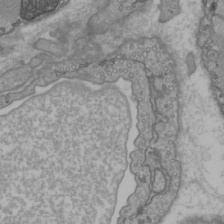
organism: C57BL Mouse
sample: Heart